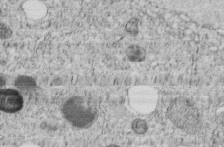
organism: C. elegans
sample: C. elegans embryo early stage